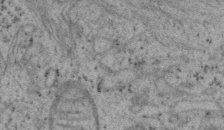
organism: Human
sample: HeLa cells